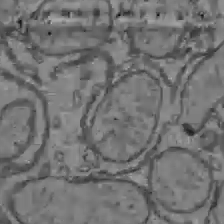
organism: C57BL Mouse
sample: Liver